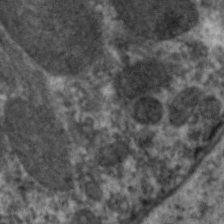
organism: C. elegans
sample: Pharynx